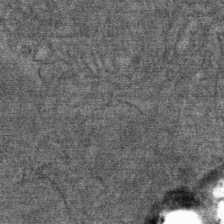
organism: Mouse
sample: Mouse Salivary gland